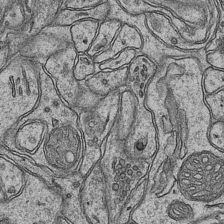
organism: Mouse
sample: CA1 Hippocampus